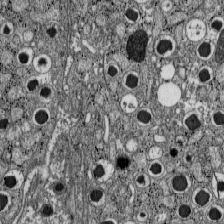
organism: C57BL Mouse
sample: Pancreatic islet